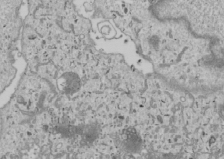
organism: Human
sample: Mitochondria in U2OS cells